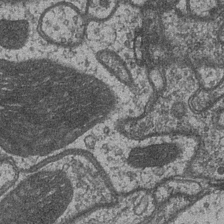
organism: Drosophila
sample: Optic medulla